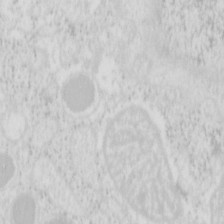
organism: Mouse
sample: Pancreas